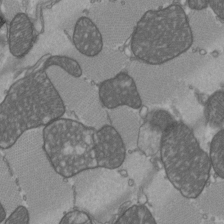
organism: C57BL Mouse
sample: Heart